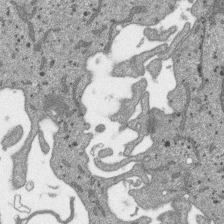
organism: Human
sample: Lung epithelial cells infected with SARS-CoV-2